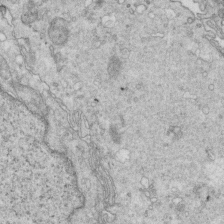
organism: Mouse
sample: Multiciliated cells